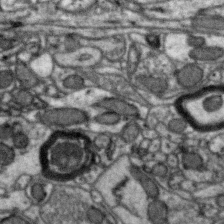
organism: Zebra finch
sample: Brain